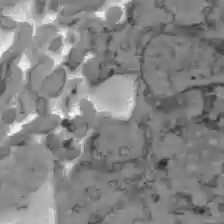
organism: C57BL Mouse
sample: Liver